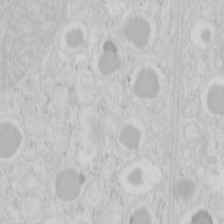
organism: Mouse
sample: Pancreas